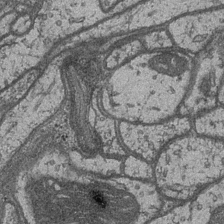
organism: Drosophila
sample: Optic medulla